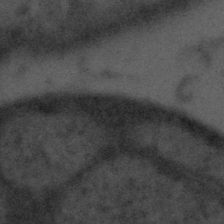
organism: Tuwongella immobilis